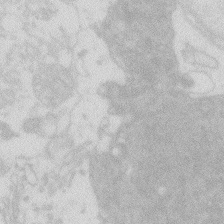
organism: Zebrafish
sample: Macrophage